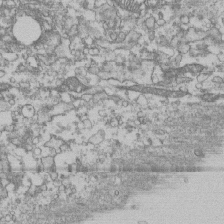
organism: Human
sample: Fibroblast cells